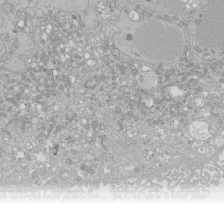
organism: Human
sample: Caco-2 cells